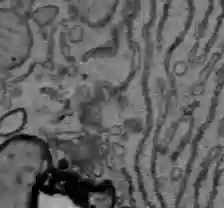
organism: C57BL Mouse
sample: Liver